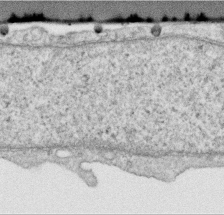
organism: Human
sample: Centriole in RPE cells